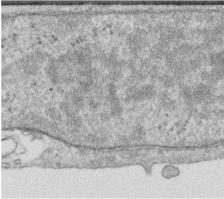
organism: Human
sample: Centriole in RPE cells